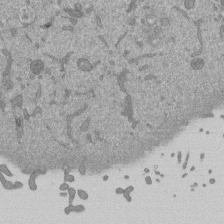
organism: Mouse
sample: ED-1 cell nuclei; centrioles